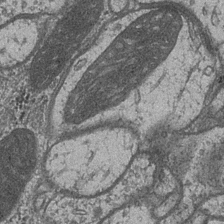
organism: Drosophila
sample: Optic medulla